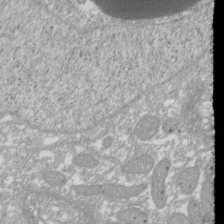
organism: Xenopus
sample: Cilia; centrioles in frog embryo cells